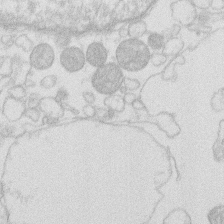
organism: Human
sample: Macrophage cells